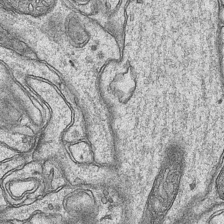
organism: Mouse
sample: CA1 Hippocampus